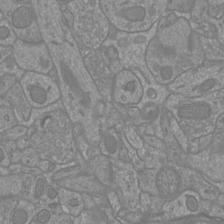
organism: Mouse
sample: Cortical neurons